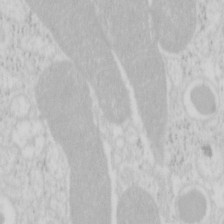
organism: Mouse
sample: Pancreas